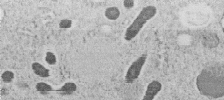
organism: C. elegans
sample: C. elegans embryo early stage